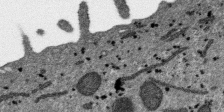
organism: Human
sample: Lung epithelial cells, uninfected (mock) control